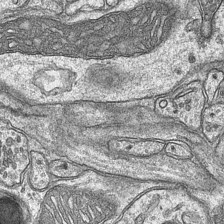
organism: Mouse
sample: CA1 Hippocampus